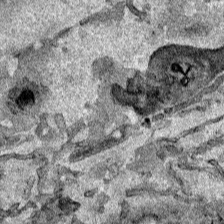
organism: Human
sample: Mitochondria in HCT116 cells